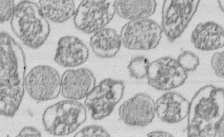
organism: E. coli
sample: Bacterial nucleoid